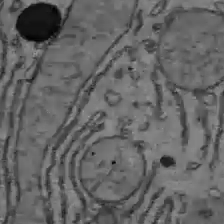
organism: C57BL Mouse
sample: Liver